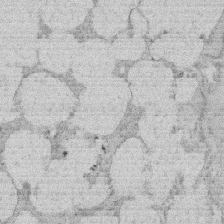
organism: Rat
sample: Salivary granule